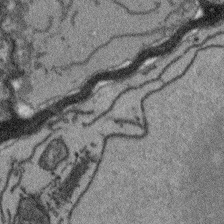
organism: Arabidopsis thaliana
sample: Root tip